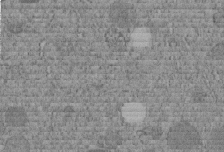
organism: C. elegans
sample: C. elegans embryo early stage